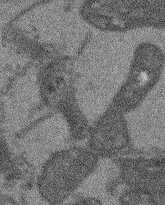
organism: Arabidopsis thaliana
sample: Root tip